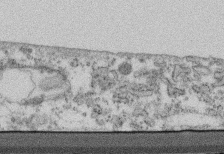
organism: Mouse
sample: Cilia; retinal pigment epithelium